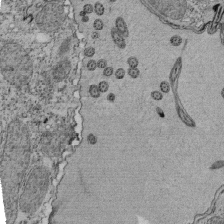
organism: Tetrahymena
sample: Cilia in tetrahymena